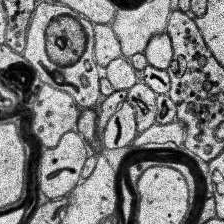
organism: Human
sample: Temporal Lobe